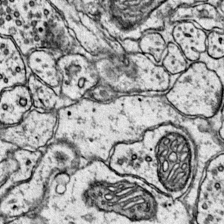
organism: Mouse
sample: Primary visual cortex